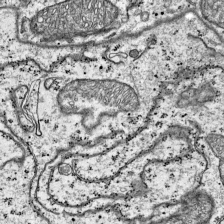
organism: Mouse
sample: Visual Cortex